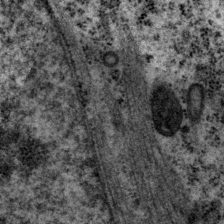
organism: P. pacificus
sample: Pharynx